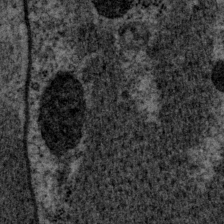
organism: P. pacificus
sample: Pharynx